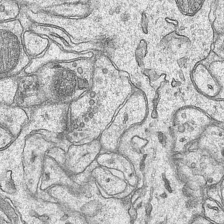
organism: Mouse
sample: CA1 Hippocampus